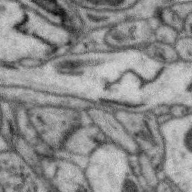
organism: Zebra finch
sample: Brain